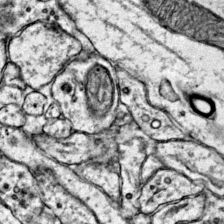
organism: Mouse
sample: Primary visual cortex